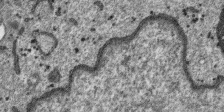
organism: Human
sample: Lung epithelial cells infected with SARS-CoV-2